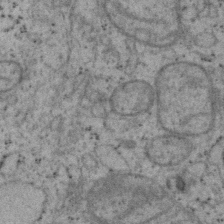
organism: Human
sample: HeLa cells